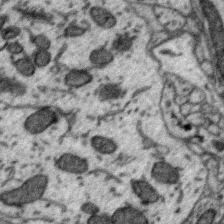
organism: Zebra finch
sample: Brain